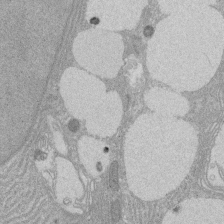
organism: Rat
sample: Salivary granule